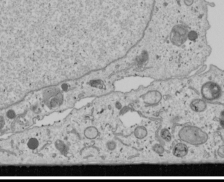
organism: Human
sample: Mitochondria in U2OS cells